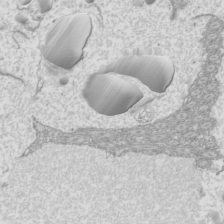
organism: Mouse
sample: Cilia; mouse epididymis